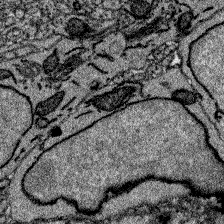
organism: Zebrafish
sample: Larval olfactory bulb